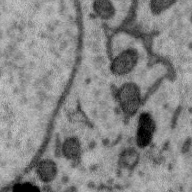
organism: Zebra finch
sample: Brain